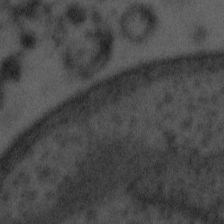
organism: Tuwongella immobilis